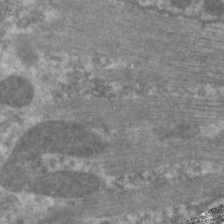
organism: C. elegans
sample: Pharynx